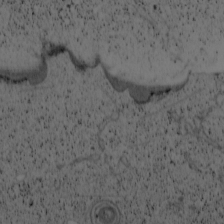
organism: African green monkey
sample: COS-7 cells